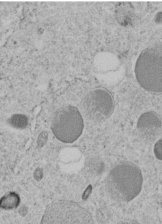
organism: C. elegans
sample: C. elegans embryo early stage